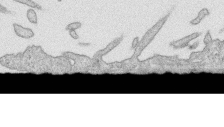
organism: Human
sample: HeLa cell HIV synapse